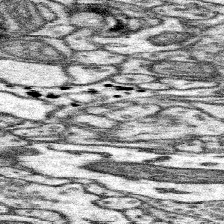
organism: Mouse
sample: Somatosensory cortex neuropil